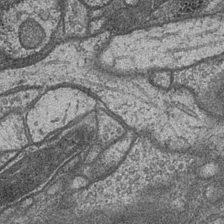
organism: Drosophila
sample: Optic medulla